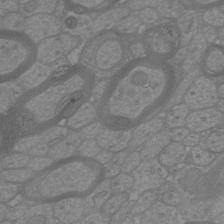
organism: Mouse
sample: Cortical neurons